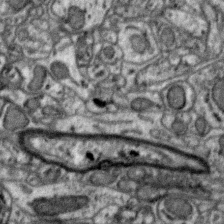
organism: Zebra finch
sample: Brain